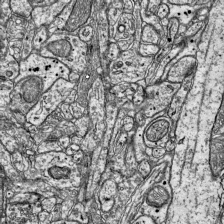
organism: Mouse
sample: Visual Cortex